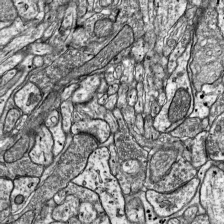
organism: Mouse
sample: Visual Cortex